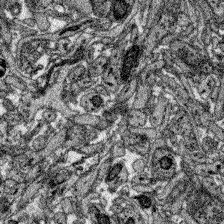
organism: Zebrafish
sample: Larval olfactory bulb